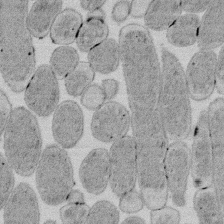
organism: E. coli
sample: Bacterial nucleoid